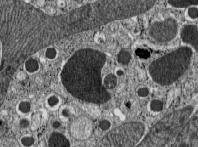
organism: C57BL Mouse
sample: Pancreatic islet